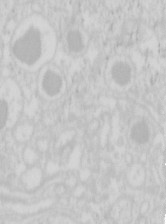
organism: Mouse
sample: Pancreas